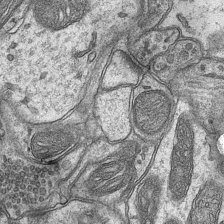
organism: Mouse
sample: CA1 Hippocampus